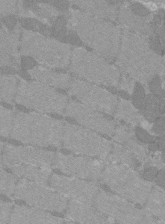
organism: C57BL Mouse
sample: Tibialis anterior muscle cell